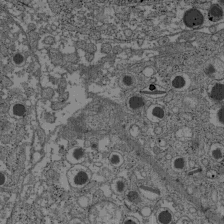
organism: C57BL Mouse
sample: Pancreatic islet